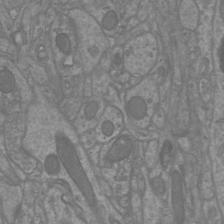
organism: Mouse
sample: Cortical neurons